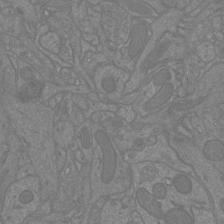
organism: Mouse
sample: Cortical neurons